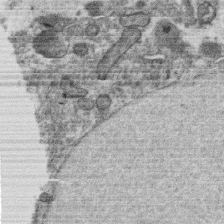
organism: C. elegans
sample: C. elegans oocyte; sperm cells